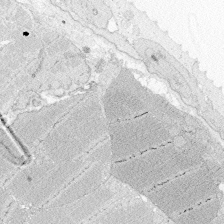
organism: Zebrafish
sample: Whole-Brain